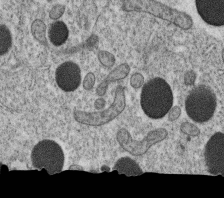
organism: C. elegans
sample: C. elegans oocyte; sperm cells